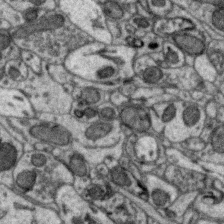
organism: Zebra finch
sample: Brain